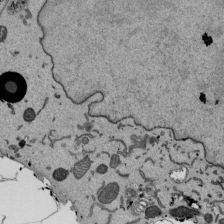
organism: Mouse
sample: ED-1 cell nuclei; centrioles